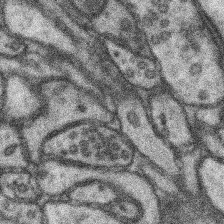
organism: Mouse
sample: Somatosensory cortex neuropil